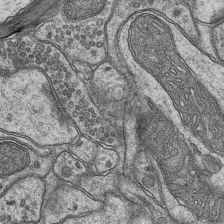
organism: Mouse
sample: CA1 Hippocampus